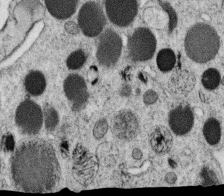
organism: C. elegans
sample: C. elegans oocyte; sperm cells